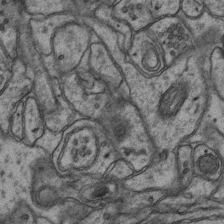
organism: Mouse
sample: CA1 Hippocampus